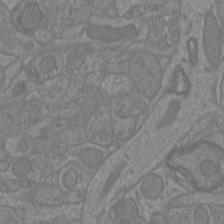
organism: Mouse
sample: Cortical neurons